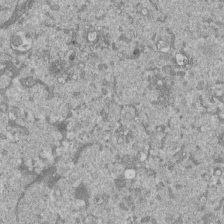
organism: Mouse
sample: ED-1 cell nuclei; centrioles